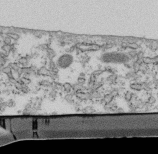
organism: Mouse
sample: Cilia; retinal pigment epithelium